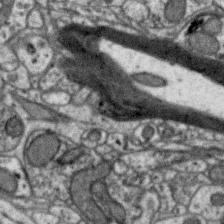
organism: Zebra finch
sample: Brain